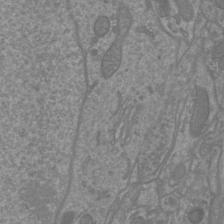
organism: Mouse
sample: Cortical neurons